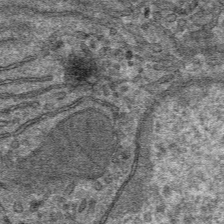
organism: Mouse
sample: Mouse hepatocytes